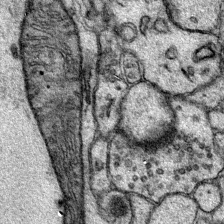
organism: Mouse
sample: Primary visual cortex